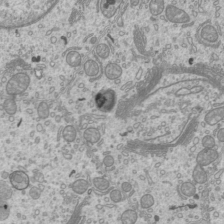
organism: Mouse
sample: Cilia; mouse epididymis